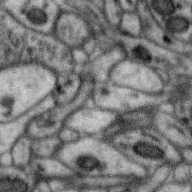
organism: Zebra finch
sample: Brain